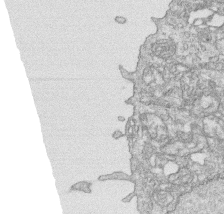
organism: Human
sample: HeLa cell HIV synapse